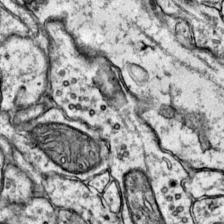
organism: Mouse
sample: Primary visual cortex